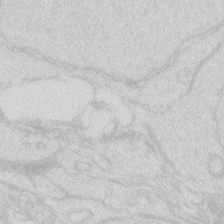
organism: Zebrafish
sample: Macrophage